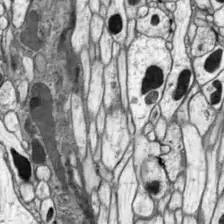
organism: Drosophila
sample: Optic lobe